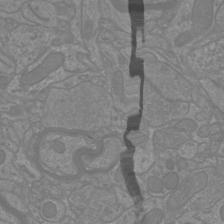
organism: Mouse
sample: Cortical neurons